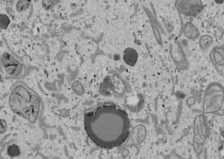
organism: Human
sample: Mitochondria in U2OS cells